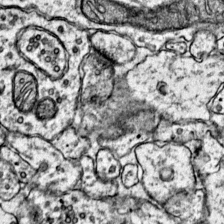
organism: Mouse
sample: Primary visual cortex